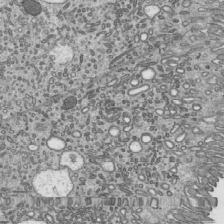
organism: Mouse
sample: Mouse epididymis efferent ductule cilia